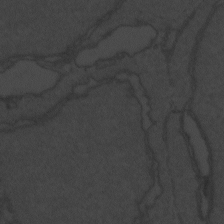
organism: Zebrafish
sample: Macrophage infected with Toxoplasma gondii